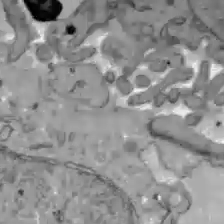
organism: C57BL Mouse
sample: Liver